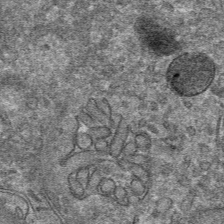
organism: Mouse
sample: Mouse hepatocytes